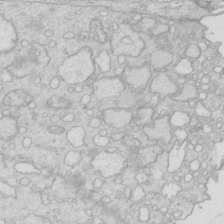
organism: Mouse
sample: Multiciliated cells